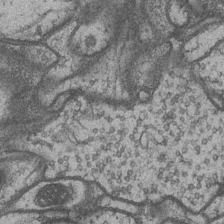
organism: Drosophila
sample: Optic medulla